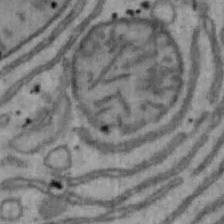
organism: Mouse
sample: Liver